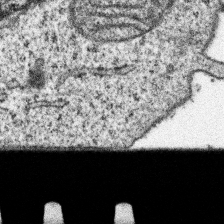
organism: Human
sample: HeLa cells